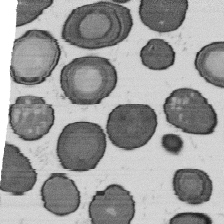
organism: B. subtilis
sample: Bacterial spore